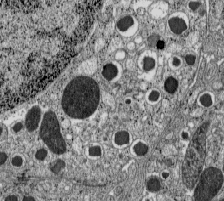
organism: C57BL Mouse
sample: Pancreatic islet